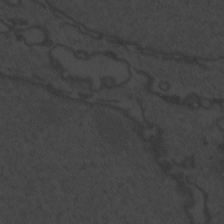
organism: Zebrafish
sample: Macrophage infected with Toxoplasma gondii